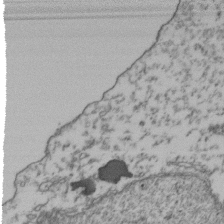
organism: Human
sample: Activated Jurkat CD4+ T cells